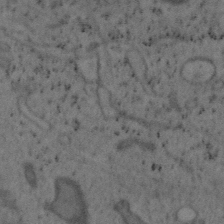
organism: Human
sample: HeLa cells